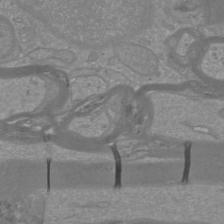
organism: Mouse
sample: Cortical neurons